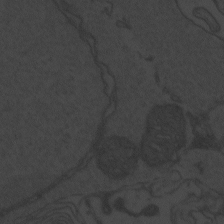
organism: Zebrafish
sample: Macrophage infected with Toxoplasma gondii